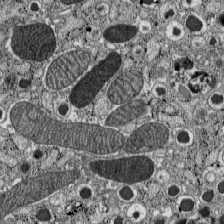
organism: C57BL Mouse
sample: Pancreatic islet